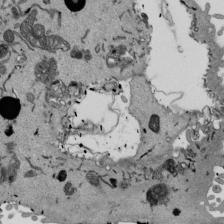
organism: Mouse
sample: ED-1 cell nuclei; centrioles